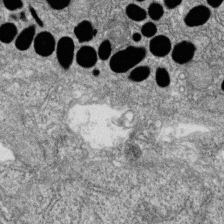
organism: Zebrafish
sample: Cilia; retinal pigment epithelium